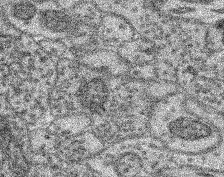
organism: Mouse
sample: Retina